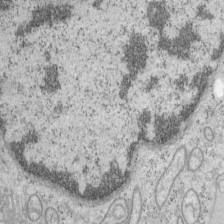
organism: Mouse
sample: OT-I killer T cells with ID8 ovarian cancer cells